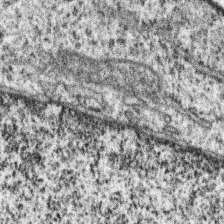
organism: Human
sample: HeLa cells